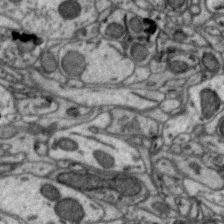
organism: Zebra finch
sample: Brain